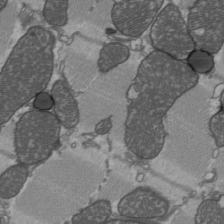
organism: C57BL Mouse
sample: Heart